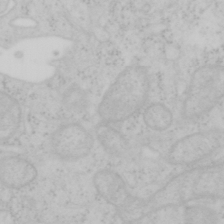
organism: Mouse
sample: OT-I killer T cells with ID8 ovarian cancer cells